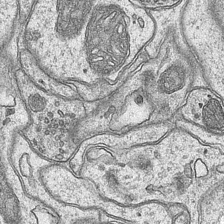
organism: Mouse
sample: CA1 Hippocampus